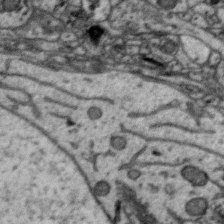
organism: Zebra finch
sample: Brain